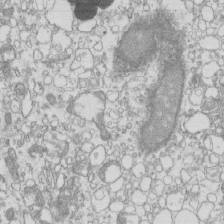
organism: Mouse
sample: Macrophages